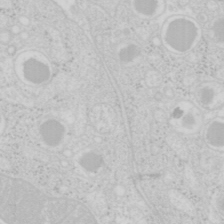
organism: Mouse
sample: Pancreas